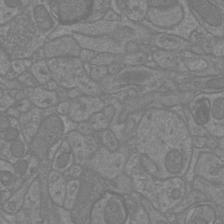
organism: Mouse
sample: Cortical neurons